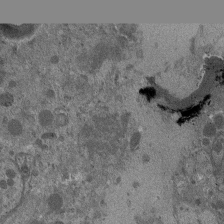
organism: Drosophila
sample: Antenna